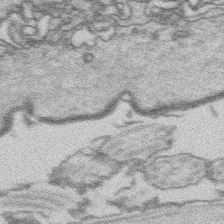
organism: Platynereis dumerilii